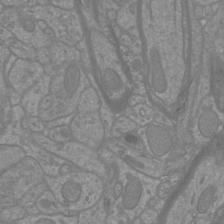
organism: Mouse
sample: Cortical neurons